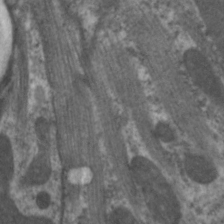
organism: C. elegans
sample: Pharynx